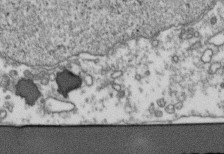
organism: Human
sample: Activated Jurkat CD4+ T cells